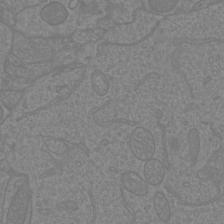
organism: Mouse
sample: Cortical neurons